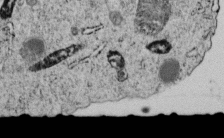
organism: C. elegans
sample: C. elegans embryo early stage